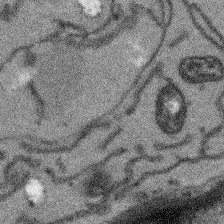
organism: Arabidopsis thaliana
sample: Root tip